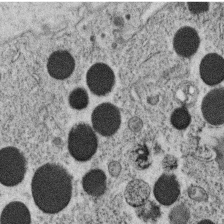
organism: C. elegans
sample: C. elegans oocyte; sperm cells